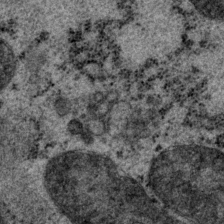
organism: P. pacificus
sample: Pharynx